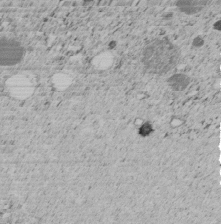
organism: C. elegans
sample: C. elegans embryo early stage